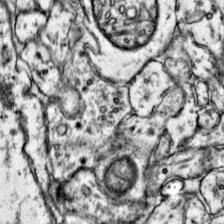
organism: Mouse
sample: Primary visual cortex